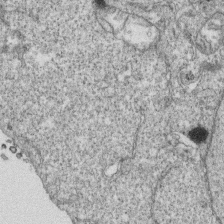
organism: Human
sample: HeLa cell HIV synapse